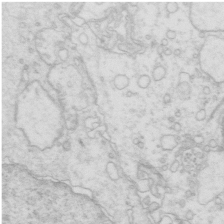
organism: Mouse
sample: Multiciliated cells